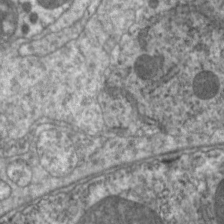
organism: C. elegans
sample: Pharynx